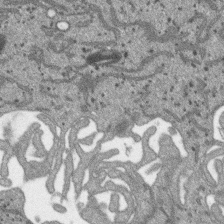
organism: Human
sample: Lung epithelial cells infected with SARS-CoV-2